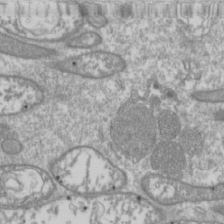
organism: Drosophila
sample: Cell division; meiosis; drosophila spermatocytes